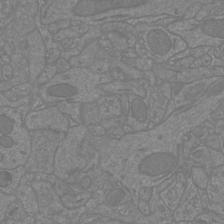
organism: Mouse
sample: Cortical neurons